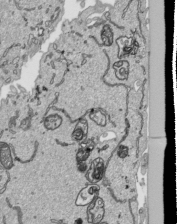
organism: Human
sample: Mitochondria in HCT116 cells